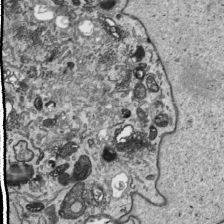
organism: Human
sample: Mitochondria in HCT116 cells